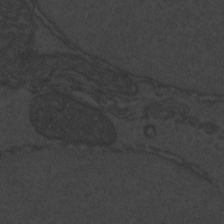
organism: Zebrafish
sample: Macrophage infected with Toxoplasma gondii